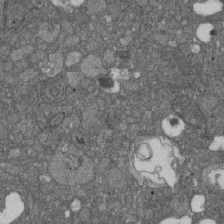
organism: Drosophila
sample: Nephrocyte